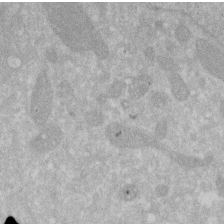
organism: Human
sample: HIV infected U937 cells